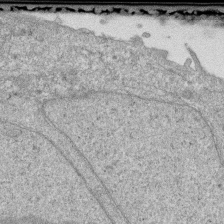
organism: Human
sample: HeLa cell HIV synapse